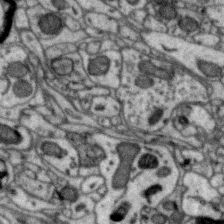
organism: Zebra finch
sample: Brain